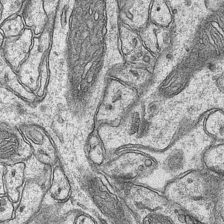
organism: Mouse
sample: CA1 Hippocampus